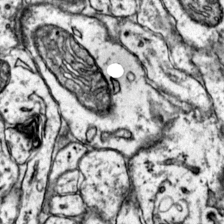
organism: Mouse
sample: Primary visual cortex